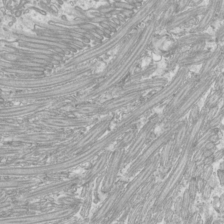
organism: Mouse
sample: Cilia; mouse epididymis